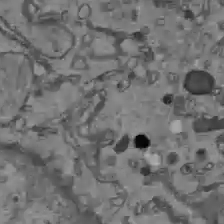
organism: C57BL Mouse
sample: Liver